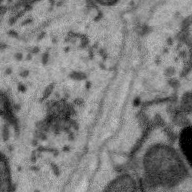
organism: Zebra finch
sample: Brain